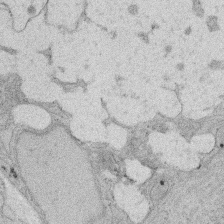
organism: Rat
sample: Salivary granule